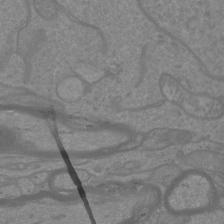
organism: Mouse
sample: Cortical neurons